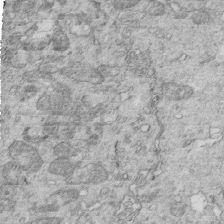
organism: Mouse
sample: Multiciliated cells